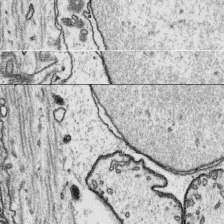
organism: Platynereis dumerilii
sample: Parapodia